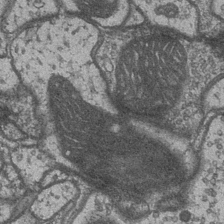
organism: Drosophila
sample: Optic medulla